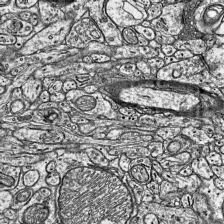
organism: Mouse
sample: Visual Cortex